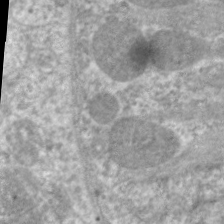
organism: C. elegans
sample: Pharynx